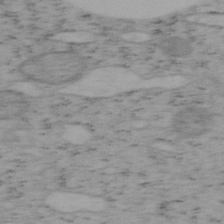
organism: Mouse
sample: OT-I killer T cells with ID8 ovarian cancer cells